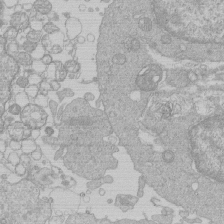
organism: Human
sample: Macrophage cells